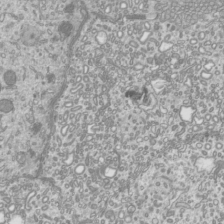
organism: Mouse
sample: Cilia; mouse epididymis